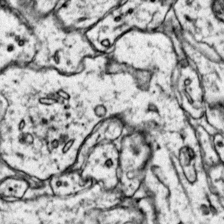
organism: Mouse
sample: Primary visual cortex